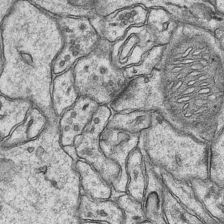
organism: Mouse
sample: CA1 Hippocampus